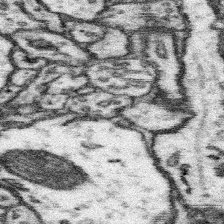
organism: Mouse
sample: Somatosensory cortex neuropil